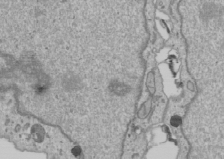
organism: Human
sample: Mitochondria in U2OS cells